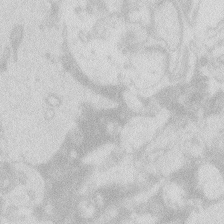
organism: Zebrafish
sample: Macrophage